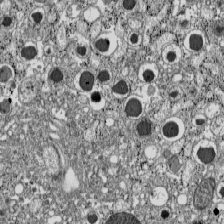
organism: C57BL Mouse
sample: Pancreatic islet